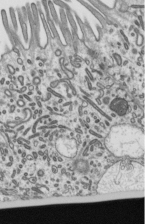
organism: Mouse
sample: Mouse epididymis efferent ductule cilia